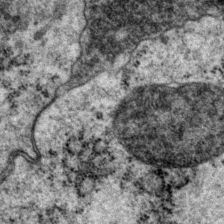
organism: P. pacificus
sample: Pharynx